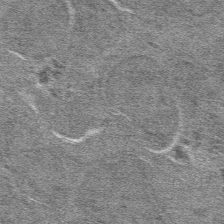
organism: Mouse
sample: Mouse hepatocytes